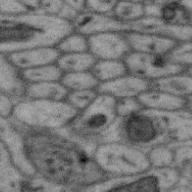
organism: Zebra finch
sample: Brain